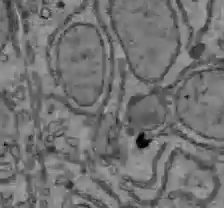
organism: C57BL Mouse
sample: Liver